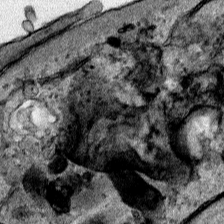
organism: Human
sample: Mitochondria in HCT116 cells